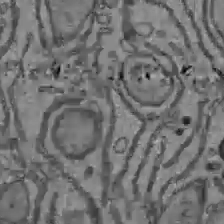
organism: C57BL Mouse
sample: Liver